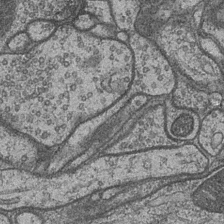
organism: Drosophila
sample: Optic medulla